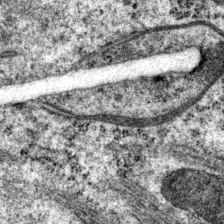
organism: P. pacificus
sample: Pharynx